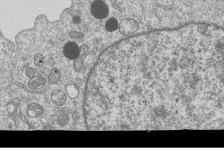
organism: Human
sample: MDA-MB-231 cells